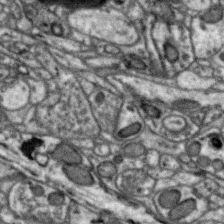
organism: Zebra finch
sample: Brain